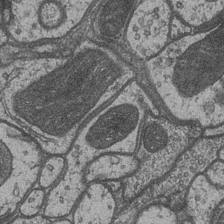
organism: Drosophila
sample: Optic medulla